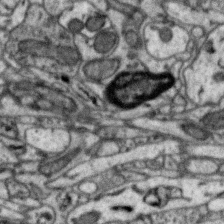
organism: Zebra finch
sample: Brain